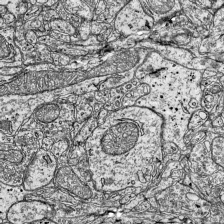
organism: Mouse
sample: Visual Cortex